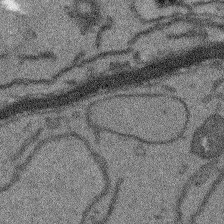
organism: Arabidopsis thaliana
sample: Root tip